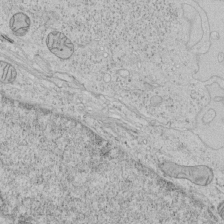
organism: Human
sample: Mitochondria in HCT116 cells